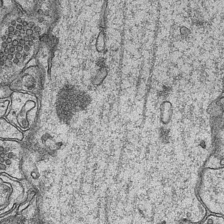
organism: Mouse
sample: CA1 Hippocampus